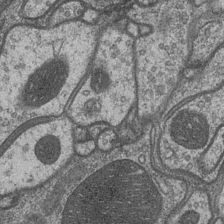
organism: Drosophila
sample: Optic medulla